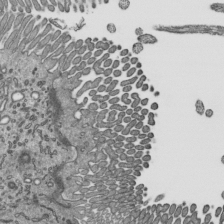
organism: Mouse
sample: Mouse epididymis efferent ductule cilia